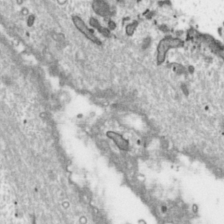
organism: Toxoplasma gondii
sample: Parasites in a vacuole inside a host cell